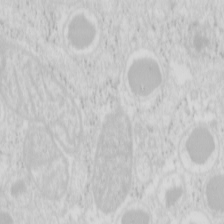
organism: Mouse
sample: Pancreas